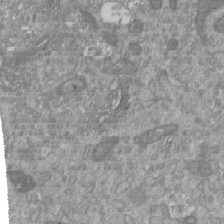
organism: Mouse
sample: ED-1 cell nuclei; centrioles